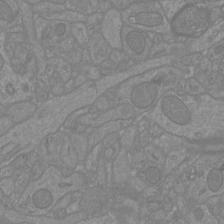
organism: Mouse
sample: Cortical neurons